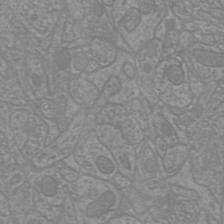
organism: Mouse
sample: Cortical neurons